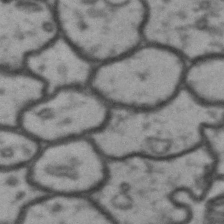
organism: Drosophila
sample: Brain